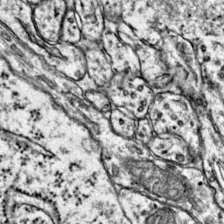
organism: Mouse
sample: Primary visual cortex